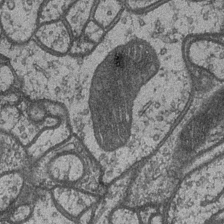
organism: Drosophila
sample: Optic medulla